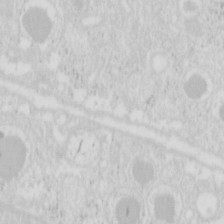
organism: Mouse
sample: Pancreas